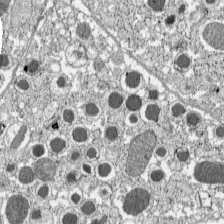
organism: C57BL Mouse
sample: Pancreatic islet